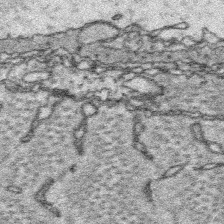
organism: Platynereis dumerilii